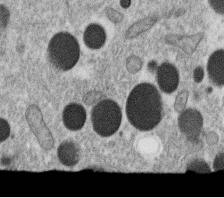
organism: C. elegans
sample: C. elegans oocyte; sperm cells